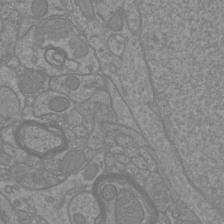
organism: Mouse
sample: Cortical neurons